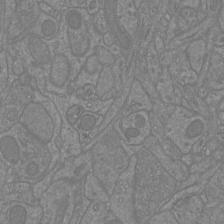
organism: Mouse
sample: Cortical neurons